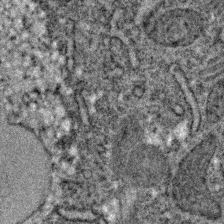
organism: C. elegans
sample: C. elegans embryo